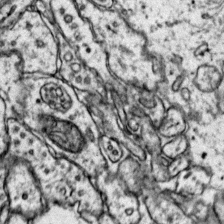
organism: Mouse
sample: Primary visual cortex